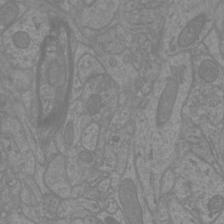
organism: Mouse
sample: Cortical neurons